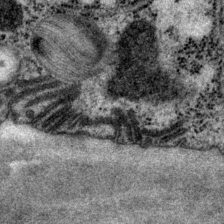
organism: P. pacificus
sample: Pharynx